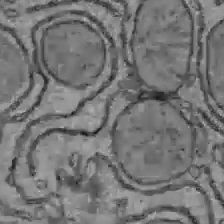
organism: C57BL Mouse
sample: Liver